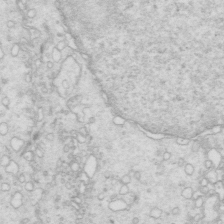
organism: Mouse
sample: Multiciliated cells